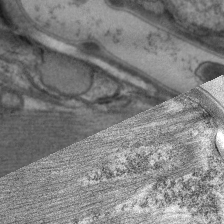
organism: C. elegans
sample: Pharynx